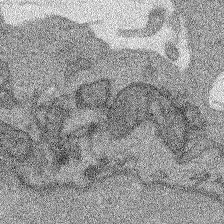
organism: Human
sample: HeLa cells